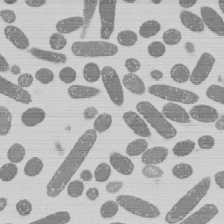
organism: E. coli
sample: Bacterial nucleoid